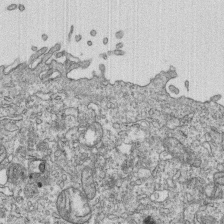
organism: Human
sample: HeLa cell HIV synapse